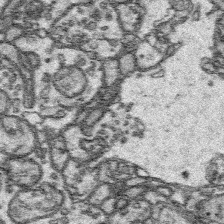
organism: Platynereis dumerilii